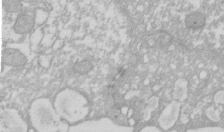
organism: Xenopus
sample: Cilia; centrioles in frog embryo cells